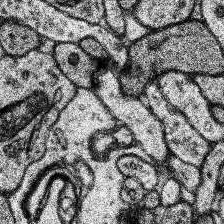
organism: Human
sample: Temporal Lobe